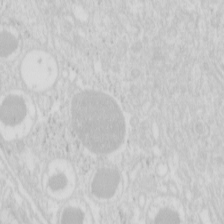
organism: Mouse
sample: Pancreas